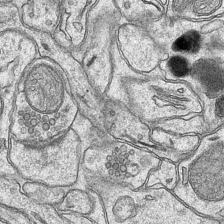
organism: Mouse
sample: CA1 Hippocampus